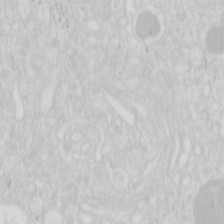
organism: Mouse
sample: Pancreas